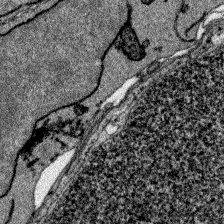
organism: Zebrafish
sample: Larval olfactory bulb